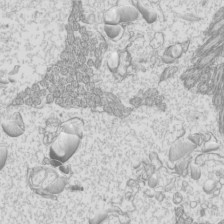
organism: Mouse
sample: Cilia; mouse epididymis